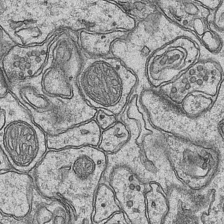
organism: Mouse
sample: CA1 Hippocampus